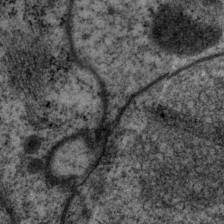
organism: P. pacificus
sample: Pharynx